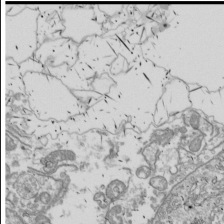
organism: Drosophila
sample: Cell division; meiosis; drosophila spermatocytes